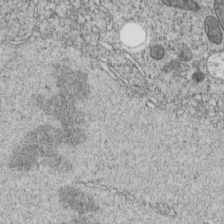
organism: C. elegans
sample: C. elegans embryo early stage